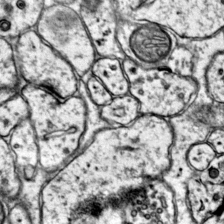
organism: Mouse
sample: Primary visual cortex